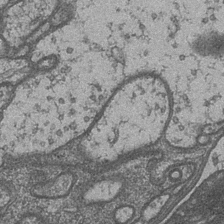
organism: Drosophila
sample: Optic medulla